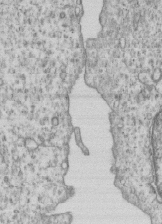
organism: Human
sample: MDA-MB-231 cells